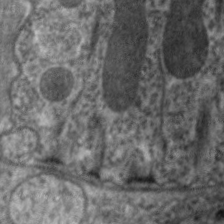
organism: C. elegans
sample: Pharynx